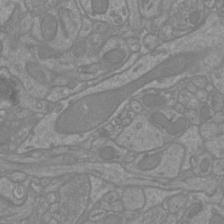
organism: Mouse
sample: Cortical neurons